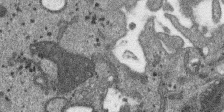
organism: Human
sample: Lung epithelial cells infected with SARS-CoV-2